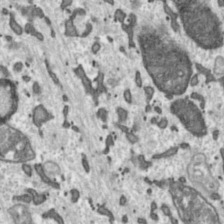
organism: Toxoplasma gondii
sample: Parasites in a vacuole inside a host cell